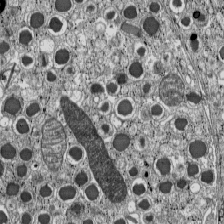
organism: C57BL Mouse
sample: Pancreatic islet